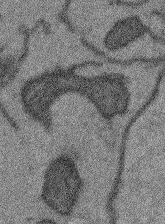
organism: Arabidopsis thaliana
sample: Root tip